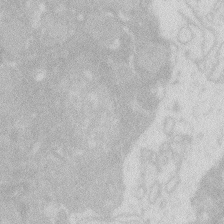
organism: Zebrafish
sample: Macrophage